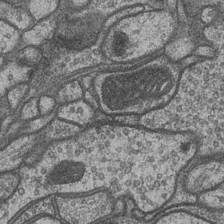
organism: Drosophila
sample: Optic medulla